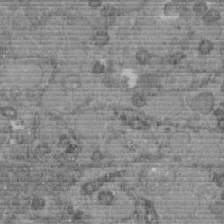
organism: C. elegans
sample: C. elegans embryo early stage